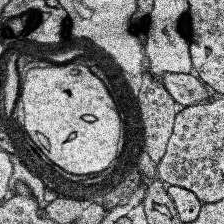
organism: Human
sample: Temporal Lobe